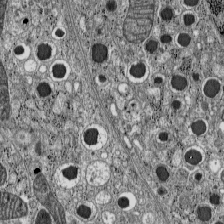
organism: C57BL Mouse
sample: Pancreatic islet